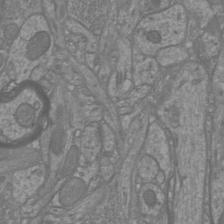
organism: Mouse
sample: Cortical neurons